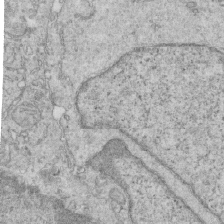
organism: Mouse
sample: Multiciliated cells